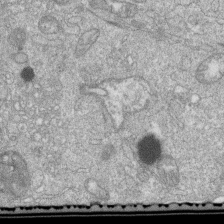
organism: Human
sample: HeLa cell HIV synapse